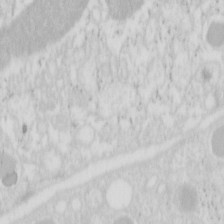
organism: Mouse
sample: Pancreas